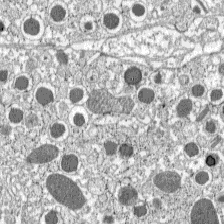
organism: C57BL Mouse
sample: Pancreatic islet